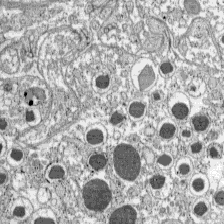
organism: C57BL Mouse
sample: Pancreatic islet